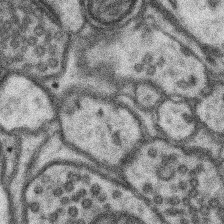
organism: Mouse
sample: Somatosensory cortex neuropil